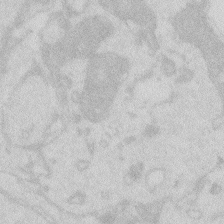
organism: Zebrafish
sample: Macrophage